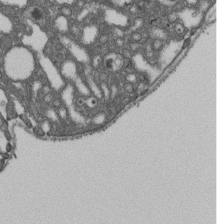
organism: Drosophila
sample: Nephrocyte